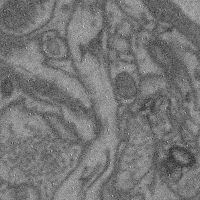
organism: Mouse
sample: Cerebral cortex